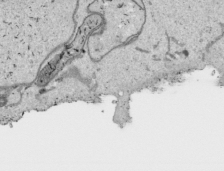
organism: Human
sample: Mitochondria in HCT116 cells